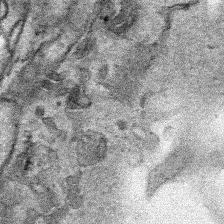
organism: Human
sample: Mitochondria in HCT116 cells